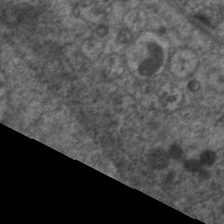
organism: C. elegans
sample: Pharynx